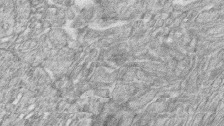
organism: Zebrafish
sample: synaptic ribbons in rod cells and cone cells